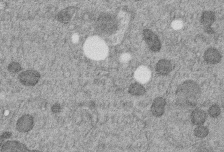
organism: C. elegans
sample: C. elegans embryo early stage